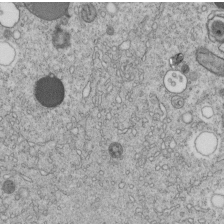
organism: C. elegans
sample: C. elegans embryo early stage